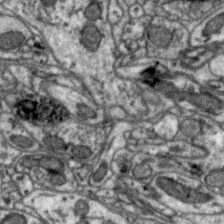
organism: Zebra finch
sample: Brain